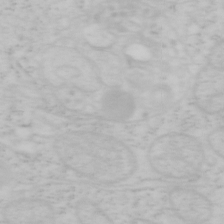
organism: Mouse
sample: OT-I killer T cells with ID8 ovarian cancer cells